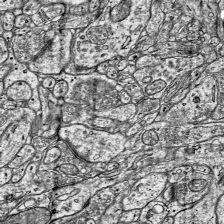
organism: Mouse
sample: Visual Cortex